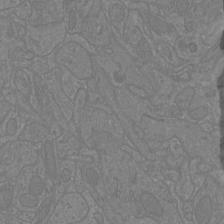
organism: Mouse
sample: Cortical neurons